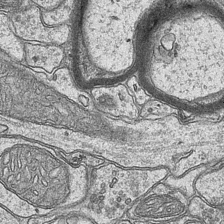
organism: Mouse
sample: CA1 Hippocampus